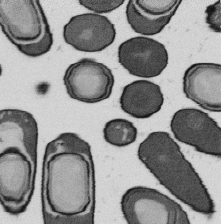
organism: B. subtilis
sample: Bacterial spore